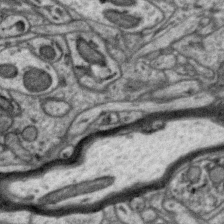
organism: Zebra finch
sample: Brain